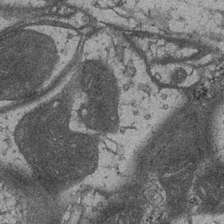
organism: Drosophila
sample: Optic medulla